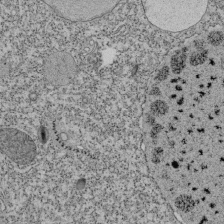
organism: Tetrahymena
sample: Cilia in tetrahymena